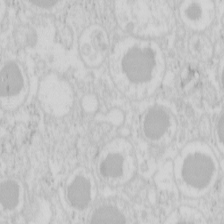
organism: Mouse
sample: Pancreas